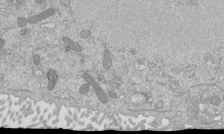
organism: Mouse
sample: ED-1 cell nuclei; centrioles